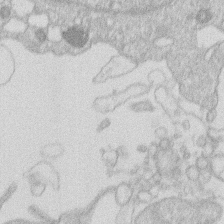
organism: Human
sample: Macrophage cells